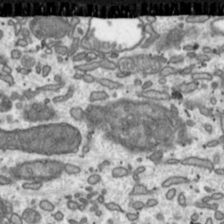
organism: Toxoplasma gondii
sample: Parasites in a vacuole inside a host cell